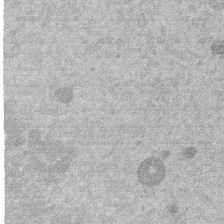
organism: Mouse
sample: Dividing mouse embryo 1 cell stage